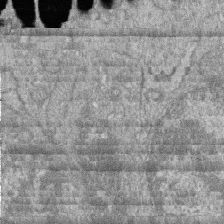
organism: Zebrafish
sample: Cilia; retinal pigment epithelium